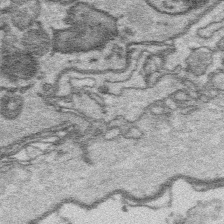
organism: Platynereis dumerilii